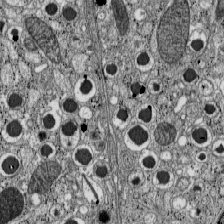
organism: C57BL Mouse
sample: Pancreatic islet